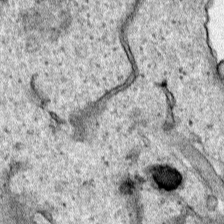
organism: Human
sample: Mitochondria in HCT116 cells